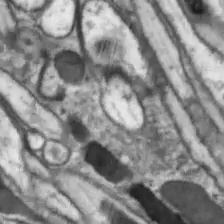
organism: Drosophila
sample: Optic lobe